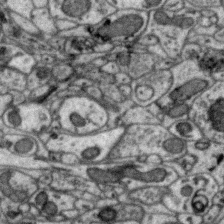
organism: Zebra finch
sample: Brain